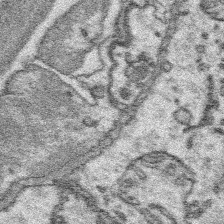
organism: Platynereis dumerilii